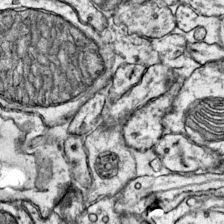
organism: Mouse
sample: Primary visual cortex